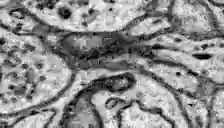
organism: Zebrafish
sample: Brain